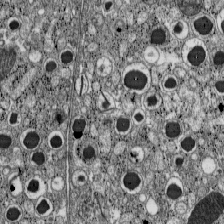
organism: C57BL Mouse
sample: Pancreatic islet